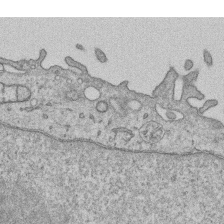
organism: Human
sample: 1205lu cells